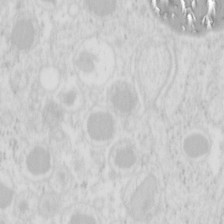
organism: Mouse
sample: Pancreas